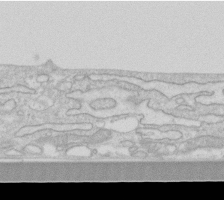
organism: Human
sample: Fibroblast cells